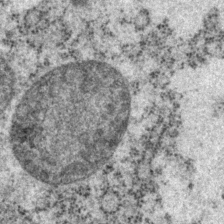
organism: P. pacificus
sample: Pharynx